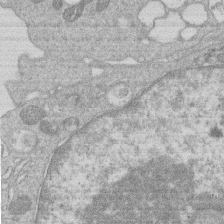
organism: Human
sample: Macrophage cells